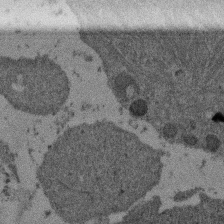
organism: Mouse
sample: Dividing mouse embryo 1 cell stage